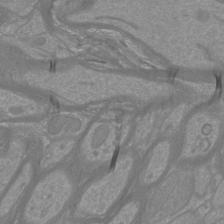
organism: Mouse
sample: Cortical neurons